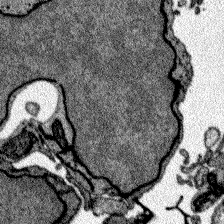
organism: Zebrafish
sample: Larval olfactory bulb